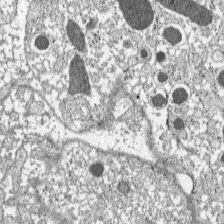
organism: C57BL Mouse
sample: Pancreatic islet